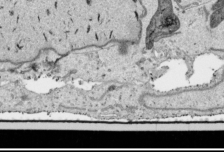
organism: Human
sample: Mitochondria in HCT116 cells